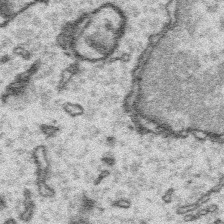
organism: Platynereis dumerilii